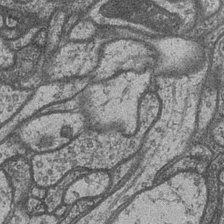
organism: Drosophila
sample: Optic medulla